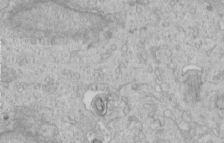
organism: Human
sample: Centriole in RPE cells